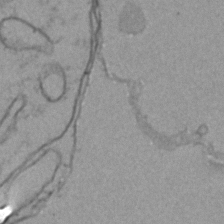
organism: Zebrafish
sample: Zebrafish embryo